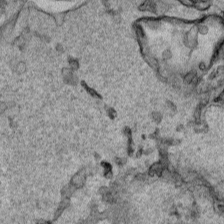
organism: Human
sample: Mitochondria in HCT116 cells